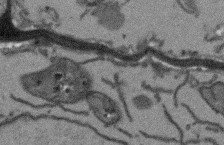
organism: Arabidopsis thaliana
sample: Root tip